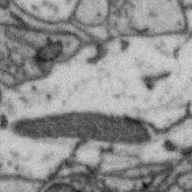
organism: Zebra finch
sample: Brain